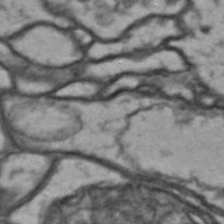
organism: Drosophila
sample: Brain